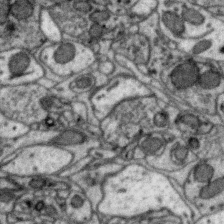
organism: Zebra finch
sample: Brain